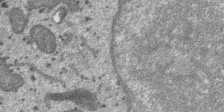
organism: Human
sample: Lung epithelial cells infected with SARS-CoV-2